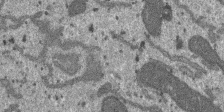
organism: Human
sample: Lung epithelial cells infected with SARS-CoV-2